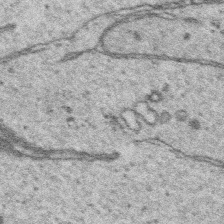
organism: Platynereis dumerilii